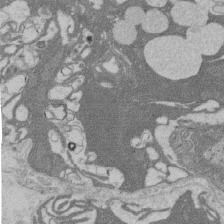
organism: Rat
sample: Salivary granule